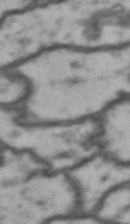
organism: Drosophila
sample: Brain